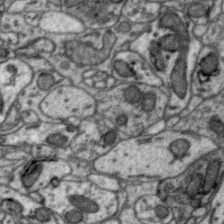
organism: Zebra finch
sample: Brain